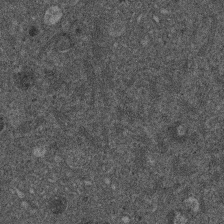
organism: Mouse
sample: Dividing mouse embryo 1 cell stage